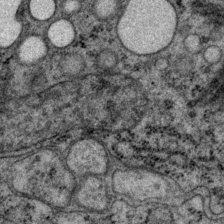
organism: P. pacificus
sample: Pharynx